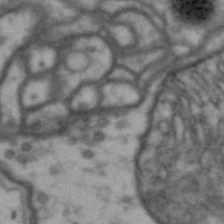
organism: Drosophila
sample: Brain